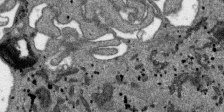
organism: Human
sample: Lung epithelial cells, uninfected (mock) control